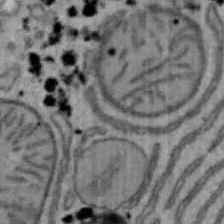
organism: Mouse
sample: Liver